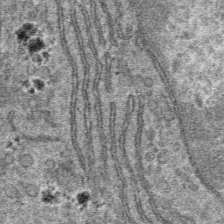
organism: Mouse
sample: Mouse hepatocytes